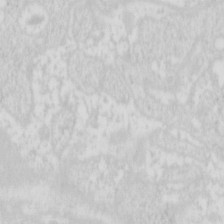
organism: Mouse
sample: Pancreas